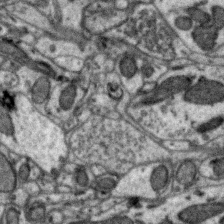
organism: Zebra finch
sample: Brain